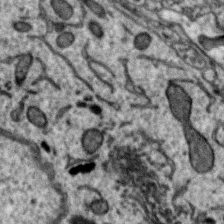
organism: Zebra finch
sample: Brain